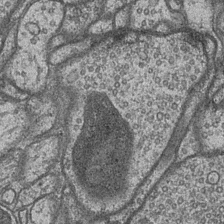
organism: Drosophila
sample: Optic medulla